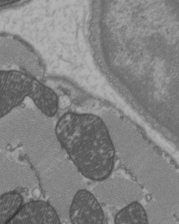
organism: C57BL Mouse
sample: Heart